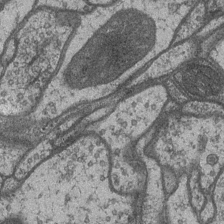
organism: Drosophila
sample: Optic medulla